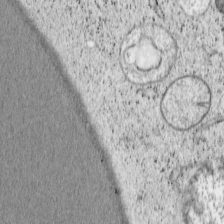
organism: African green monkey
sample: COS-7 cells